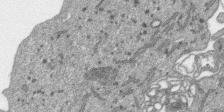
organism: Human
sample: Lung epithelial cells infected with SARS-CoV-2